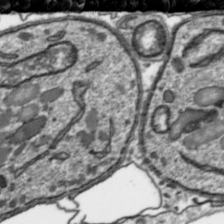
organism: Toxoplasma gondii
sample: Parasites in a vacuole inside a host cell